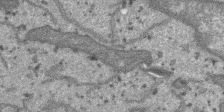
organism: Human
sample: Lung epithelial cells infected with SARS-CoV-2